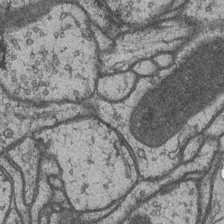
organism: Drosophila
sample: Optic medulla